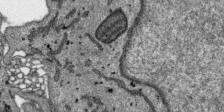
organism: Human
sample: Lung epithelial cells, uninfected (mock) control